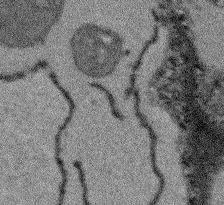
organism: Arabidopsis thaliana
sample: Root tip